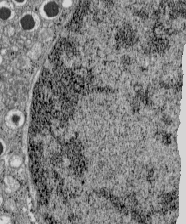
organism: C57BL Mouse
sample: Pancreatic islet